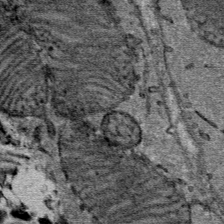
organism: Mouse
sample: Mouse Salivary gland